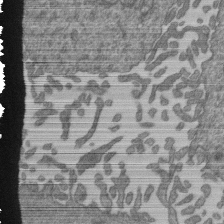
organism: Human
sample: Retinal organoid Rod and Cone cells